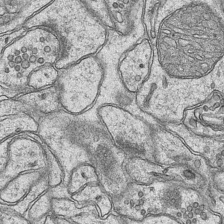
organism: Mouse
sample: CA1 Hippocampus